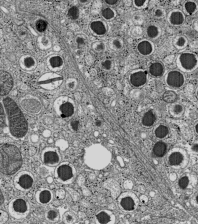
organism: C57BL Mouse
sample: Pancreatic islet